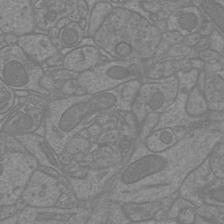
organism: Mouse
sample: Cortical neurons